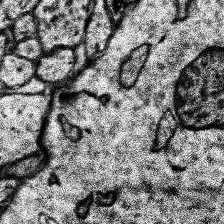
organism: Human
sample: Temporal Lobe